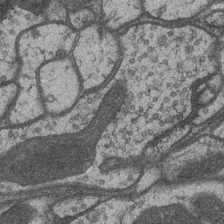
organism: Drosophila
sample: Optic medulla